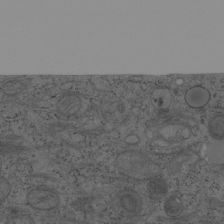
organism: Human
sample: HeLa cells